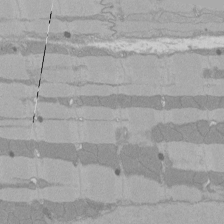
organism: Rat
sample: Left ventricle